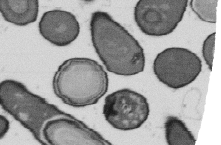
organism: B. subtilis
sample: Bacterial spore